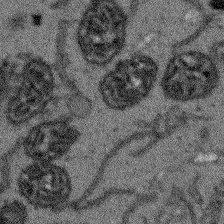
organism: Arabidopsis thaliana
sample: Root tip